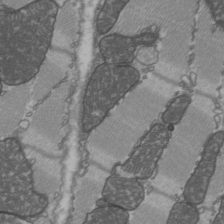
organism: C57BL Mouse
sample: Heart